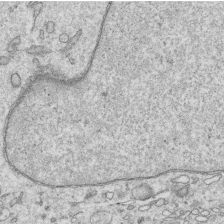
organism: Human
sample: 1205lu cells